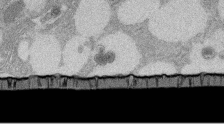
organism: Rat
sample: Salivary granule